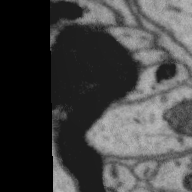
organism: Zebra finch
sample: Brain